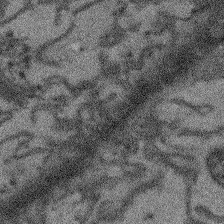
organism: Arabidopsis thaliana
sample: Root tip